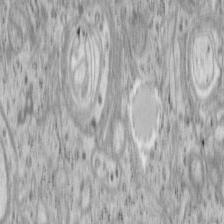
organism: Human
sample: HeLa cells